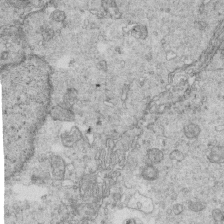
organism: Mouse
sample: Multiciliated cells